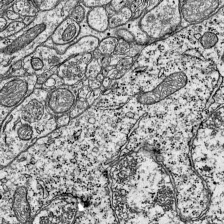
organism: Mouse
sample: Visual Cortex